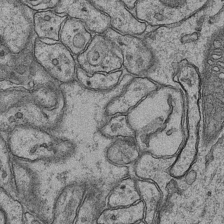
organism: Mouse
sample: CA1 Hippocampus